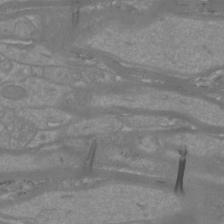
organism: Mouse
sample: Cortical neurons